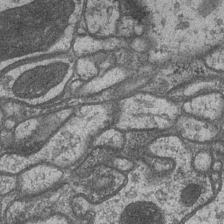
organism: Drosophila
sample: Optic medulla